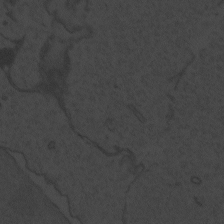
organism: Zebrafish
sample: Macrophage infected with Toxoplasma gondii